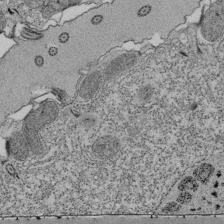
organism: Tetrahymena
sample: Cilia in tetrahymena